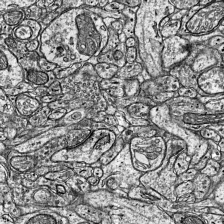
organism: Mouse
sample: Visual Cortex